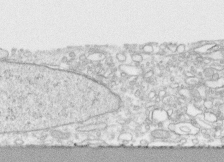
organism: Human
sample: CRL-1474